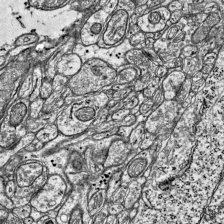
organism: Mouse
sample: Visual Cortex